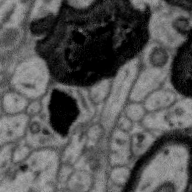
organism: Zebra finch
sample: Brain